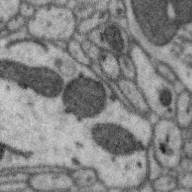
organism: Zebra finch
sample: Brain